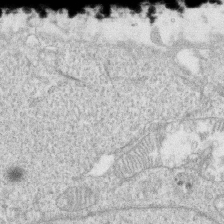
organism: Human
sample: HeLa cell HIV synapse